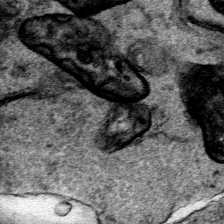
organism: Human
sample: Mitochondria in HCT116 cells